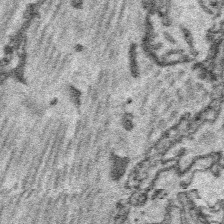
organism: Platynereis dumerilii